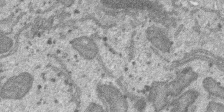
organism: Human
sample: Lung epithelial cells infected with SARS-CoV-2